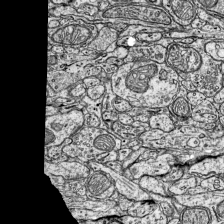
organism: Mouse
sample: Visual Cortex